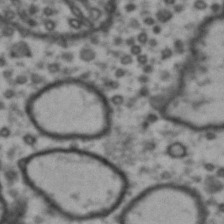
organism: Drosophila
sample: Brain